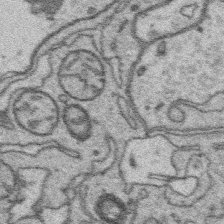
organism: Platynereis dumerilii